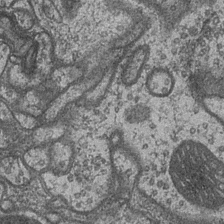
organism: Drosophila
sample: Optic medulla